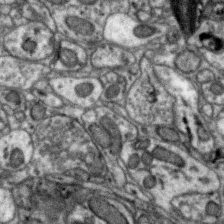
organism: Zebra finch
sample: Brain